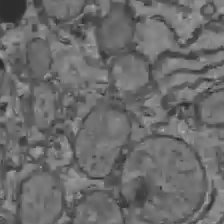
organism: C57BL Mouse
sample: Liver